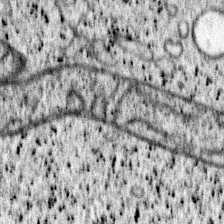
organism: Human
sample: HeLa cells